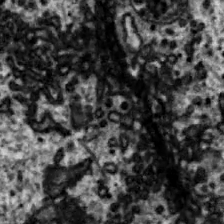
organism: Human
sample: HeLa cells